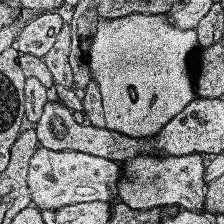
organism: Human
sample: Temporal Lobe